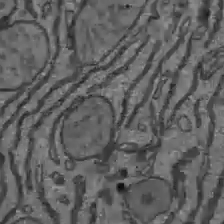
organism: C57BL Mouse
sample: Liver